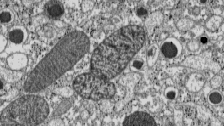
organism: C57BL Mouse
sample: Pancreatic islet